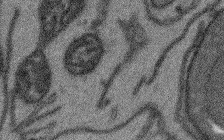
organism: Arabidopsis thaliana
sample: Root tip